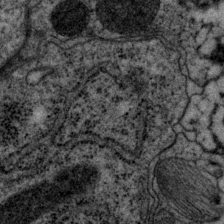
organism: P. pacificus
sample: Pharynx